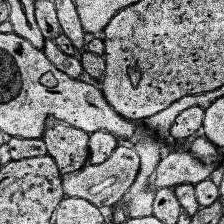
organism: Human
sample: Temporal Lobe